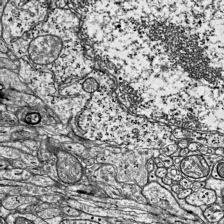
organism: Mouse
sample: Visual Cortex